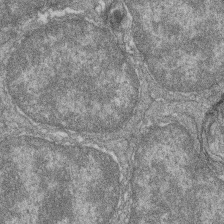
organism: Zebrafish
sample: Cilia; retinal pigment epithelium